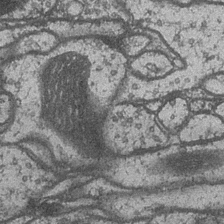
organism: Drosophila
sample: Optic medulla